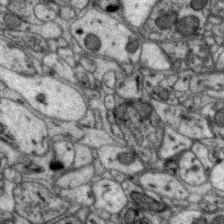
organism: Zebra finch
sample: Brain